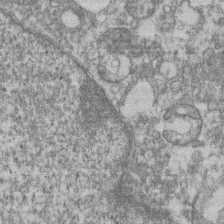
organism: Mouse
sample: T cell stromal cell synapse